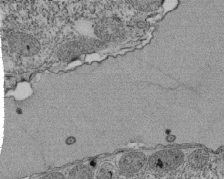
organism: Tetrahymena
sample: Cilia in tetrahymena